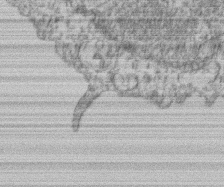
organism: Mouse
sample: T cell stromal cell synapse